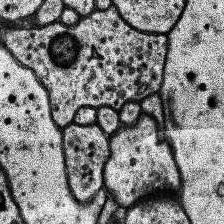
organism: Human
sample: Temporal Lobe